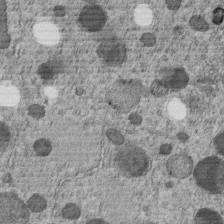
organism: C. elegans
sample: C. elegans embryo early stage